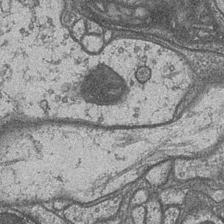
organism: Drosophila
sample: Optic medulla